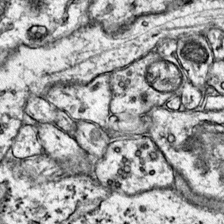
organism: Mouse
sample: Primary visual cortex